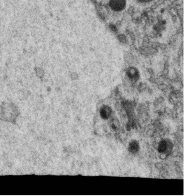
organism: C. elegans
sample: C. elegans oocyte; sperm cells